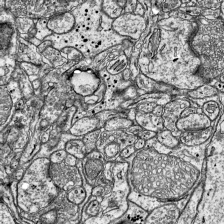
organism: Mouse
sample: Visual Cortex